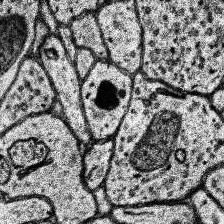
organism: Human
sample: Temporal Lobe